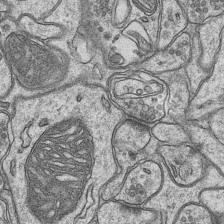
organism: Mouse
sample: CA1 Hippocampus